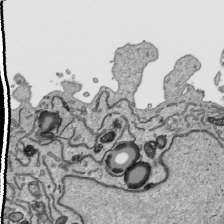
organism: Human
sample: Mitochondria in HCT116 cells